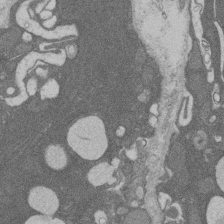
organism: Rat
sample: Salivary granule